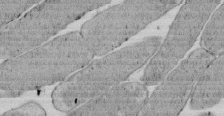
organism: E. coli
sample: Bacterial nucleoid